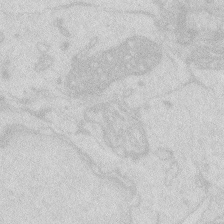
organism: Zebrafish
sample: Macrophage